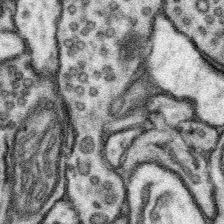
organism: Mouse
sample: Somatosensory cortex neuropil